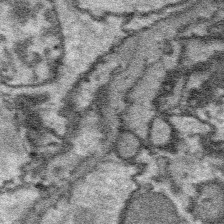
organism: Platynereis dumerilii